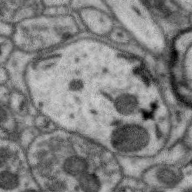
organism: Zebra finch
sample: Brain